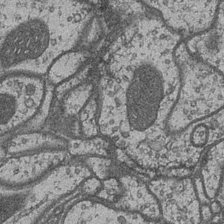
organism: Drosophila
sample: Optic medulla